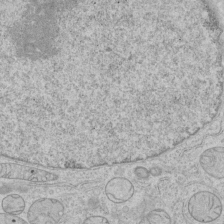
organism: Human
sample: Mitochondria in HCT116 cells